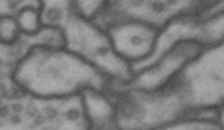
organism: Drosophila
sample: Brain